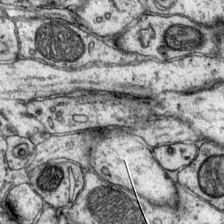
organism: Mouse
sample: Primary visual cortex